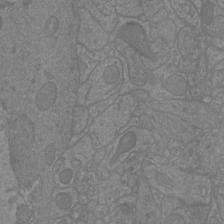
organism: Mouse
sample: Cortical neurons